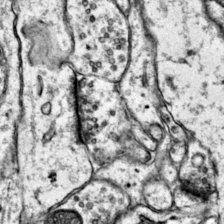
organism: Mouse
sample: Primary visual cortex